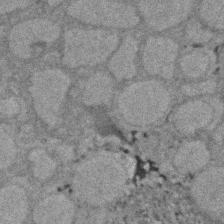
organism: Zebrafish